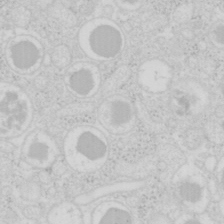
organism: Mouse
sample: Pancreas